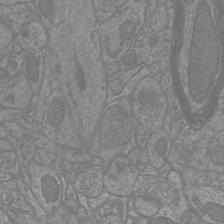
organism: Mouse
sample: Cortical neurons